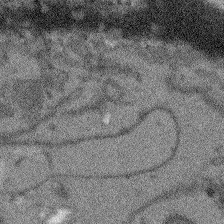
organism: Arabidopsis thaliana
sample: Root tip